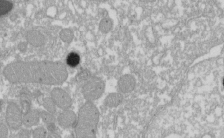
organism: Xenopus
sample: Cilia; centrioles in frog embryo cells